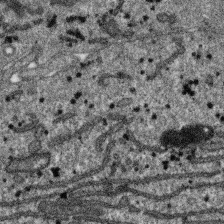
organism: Human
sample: Lung epithelial cells infected with SARS-CoV-2